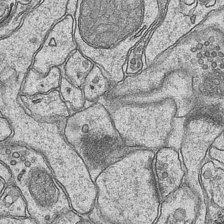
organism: Mouse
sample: CA1 Hippocampus